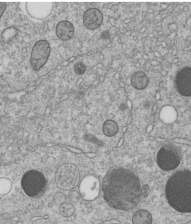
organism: C. elegans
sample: C. elegans embryo early stage